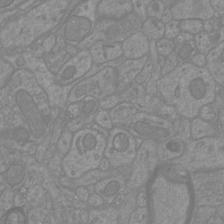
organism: Mouse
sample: Cortical neurons